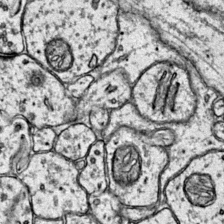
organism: Mouse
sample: Primary visual cortex